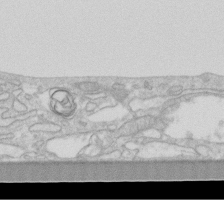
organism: Human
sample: Fibroblast cells